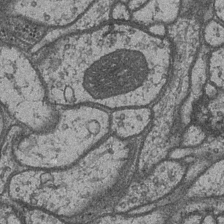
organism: Drosophila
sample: Optic medulla